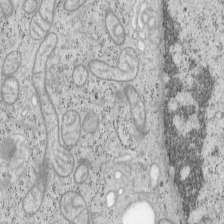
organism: Mouse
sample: OT-I killer T cells with ID8 ovarian cancer cells